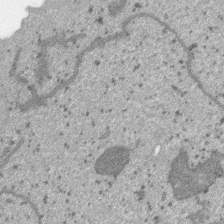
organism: Human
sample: Lung epithelial cells infected with SARS-CoV-2